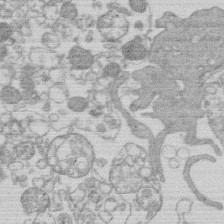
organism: Human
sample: Macrophage cells